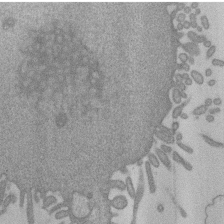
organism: Mouse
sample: Dividing mouse embryo 1 cell stage